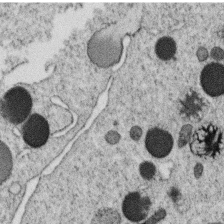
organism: C. elegans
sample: C. elegans oocyte; sperm cells